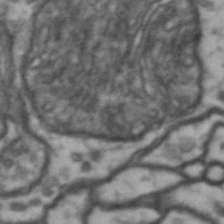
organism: Drosophila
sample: Brain